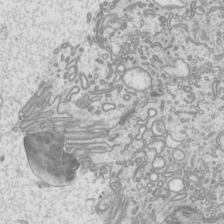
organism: Mouse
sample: Cilia; mouse epididymis